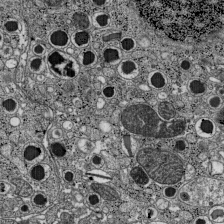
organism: C57BL Mouse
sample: Pancreatic islet